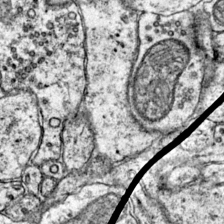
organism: Mouse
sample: Primary visual cortex